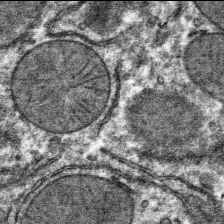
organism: Mouse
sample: Mouse hepatocytes